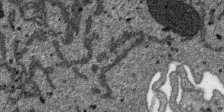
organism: Human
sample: Lung epithelial cells infected with SARS-CoV-2